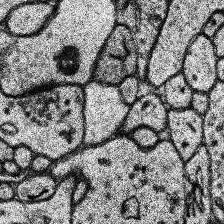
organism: Human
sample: Temporal Lobe